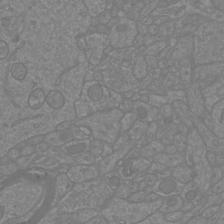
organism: Mouse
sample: Cortical neurons